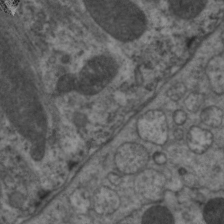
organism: C. elegans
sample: Pharynx